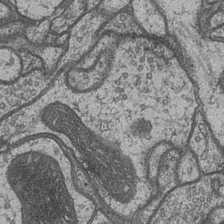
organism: Drosophila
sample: Optic medulla